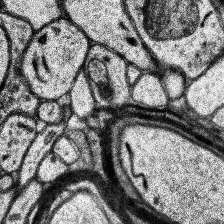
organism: Human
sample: Temporal Lobe